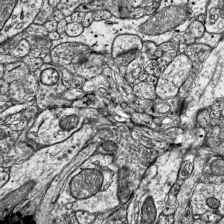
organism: Mouse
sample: Visual Cortex